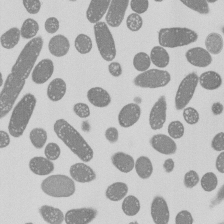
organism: E. coli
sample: Bacterial nucleoid